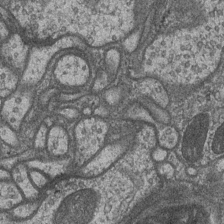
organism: Drosophila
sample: Optic medulla